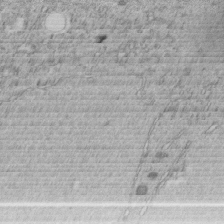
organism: C. elegans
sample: C. elegans embryo early stage